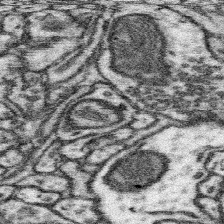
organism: Mouse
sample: Somatosensory cortex neuropil